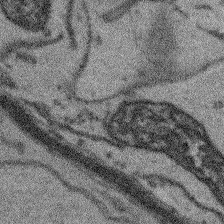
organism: Arabidopsis thaliana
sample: Root tip